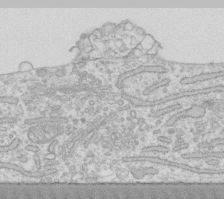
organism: Human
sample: Fibroblast cells